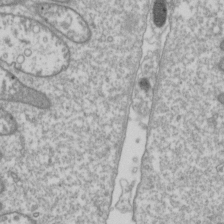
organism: Drosophila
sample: Cell division; meiosis; drosophila spermatocytes